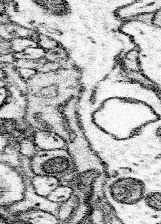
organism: Mouse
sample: Somatosensory cortex neuropil